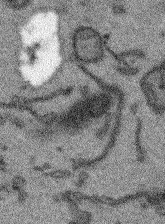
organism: Arabidopsis thaliana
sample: Root tip